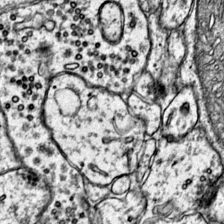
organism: Mouse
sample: Primary visual cortex